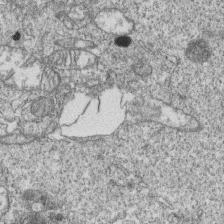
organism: Human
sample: HeLa cell HIV synapse